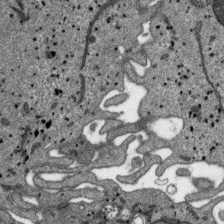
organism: Human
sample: Lung epithelial cells, uninfected (mock) control